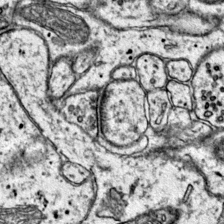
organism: Mouse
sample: Primary visual cortex